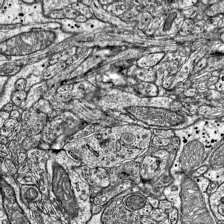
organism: Mouse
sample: Visual Cortex